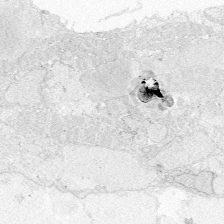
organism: Zebrafish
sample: Whole-Brain